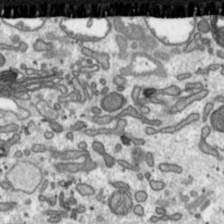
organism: Toxoplasma gondii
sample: Parasites in a vacuole inside a host cell